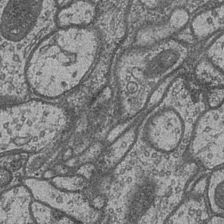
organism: Drosophila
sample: Optic medulla